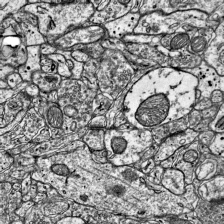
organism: Mouse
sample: Visual Cortex